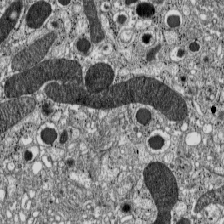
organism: C57BL Mouse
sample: Pancreatic islet